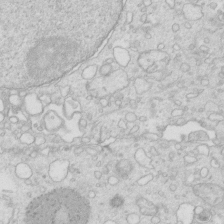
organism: Mouse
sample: Multiciliated cells